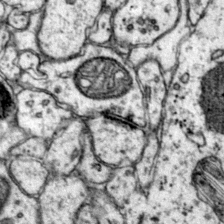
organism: Mouse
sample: Primary visual cortex